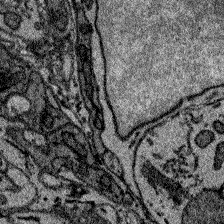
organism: Zebrafish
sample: Larval olfactory bulb